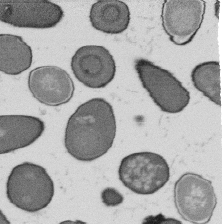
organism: B. subtilis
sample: Bacterial spore